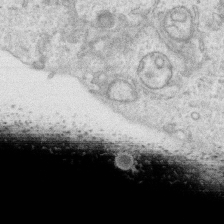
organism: Human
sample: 1205lu cells